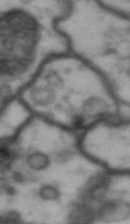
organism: Drosophila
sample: Brain